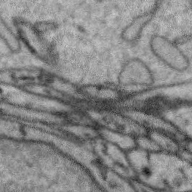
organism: Zebra finch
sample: Brain